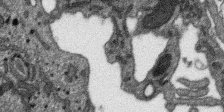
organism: Human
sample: Lung epithelial cells infected with SARS-CoV-2